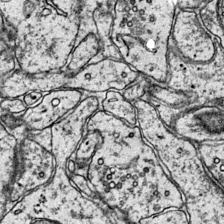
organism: Mouse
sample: Primary visual cortex